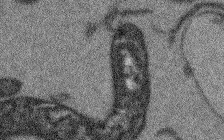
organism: Arabidopsis thaliana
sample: Root tip